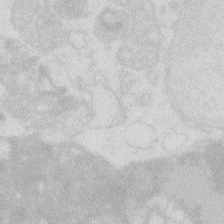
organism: Zebrafish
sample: Macrophage